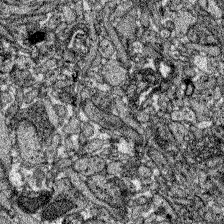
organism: Zebrafish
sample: Larval olfactory bulb